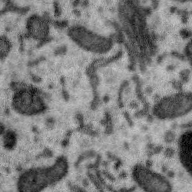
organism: Zebra finch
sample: Brain